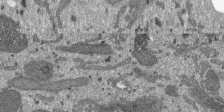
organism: Human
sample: Lung epithelial cells infected with SARS-CoV-2